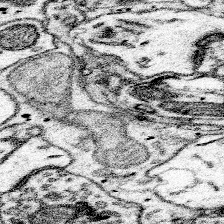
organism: Mouse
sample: Somatosensory cortex neuropil